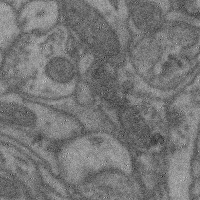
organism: Mouse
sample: Cerebral cortex